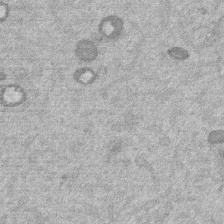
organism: Mouse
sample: Dividing mouse embryo 1 cell stage